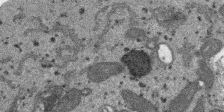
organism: Human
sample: Lung epithelial cells infected with SARS-CoV-2